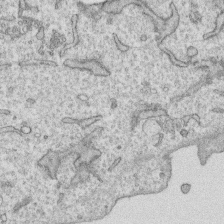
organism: Human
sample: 1205lu cells